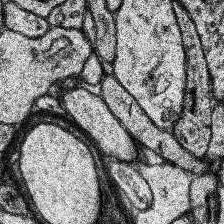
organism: Human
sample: Temporal Lobe